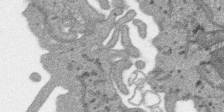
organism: Human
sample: Lung epithelial cells infected with SARS-CoV-2